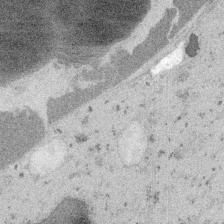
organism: Embia sp.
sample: Silk gland